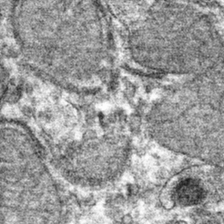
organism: Mouse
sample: Mouse hepatocytes